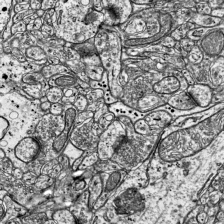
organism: Mouse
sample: Visual Cortex